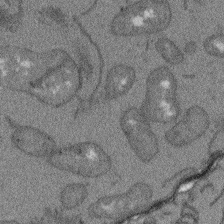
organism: Arabidopsis thaliana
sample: Root tip